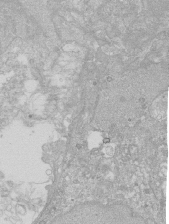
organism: Human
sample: Caco-2 cells